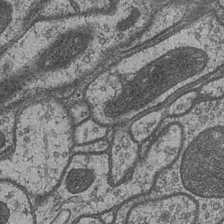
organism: Drosophila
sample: Optic medulla